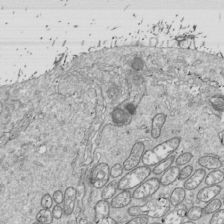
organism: Drosophila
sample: Cell division; meiosis; drosophila spermatocytes